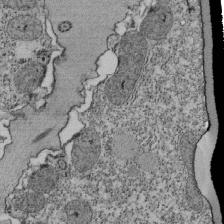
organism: Tetrahymena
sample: Cilia in tetrahymena